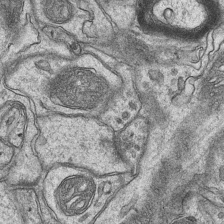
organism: Mouse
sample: CA1 Hippocampus